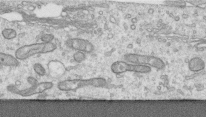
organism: Human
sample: Centriole in RPE cells